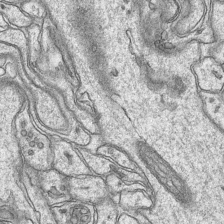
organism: Mouse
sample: CA1 Hippocampus